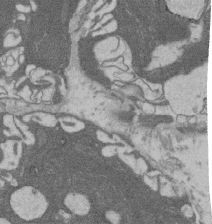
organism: Rat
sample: Salivary granule